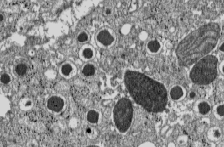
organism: C57BL Mouse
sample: Pancreatic islet